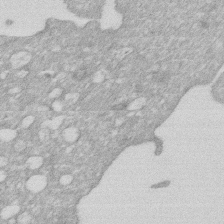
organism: Human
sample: HIV infected U937 cells